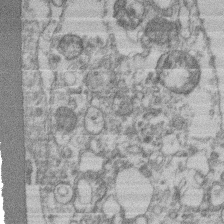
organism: Mouse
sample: T cell stromal cell synapse